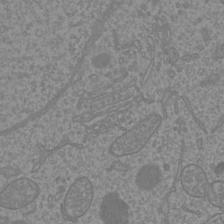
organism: Mouse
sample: Cortical neurons